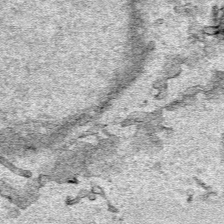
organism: Human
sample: Mitochondria in HCT116 cells